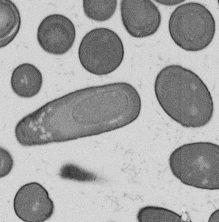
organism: B. subtilis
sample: Bacterial spore